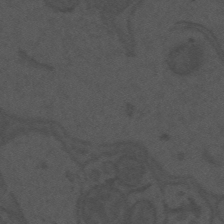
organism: Mouse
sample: Suprachiasmatic nucleus